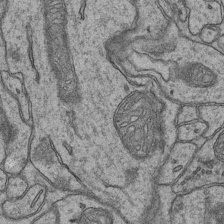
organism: Mouse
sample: CA1 Hippocampus